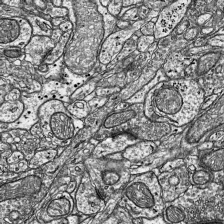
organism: Mouse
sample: Visual Cortex